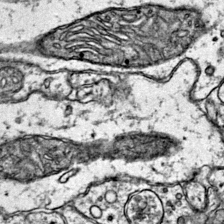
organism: Mouse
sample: Primary visual cortex